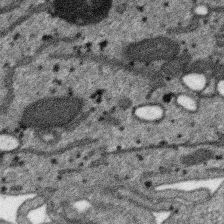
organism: Human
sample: Lung epithelial cells infected with SARS-CoV-2